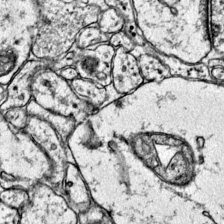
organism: Mouse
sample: Primary visual cortex